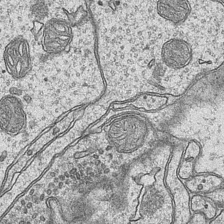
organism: Mouse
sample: CA1 Hippocampus